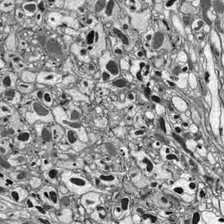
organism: Drosophila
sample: Optic lobe